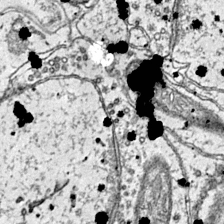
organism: Mouse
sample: Primary visual cortex